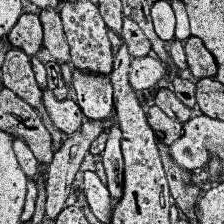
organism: Human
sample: Temporal Lobe